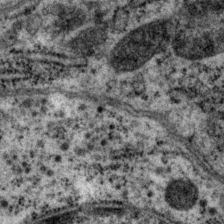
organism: P. pacificus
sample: Pharynx